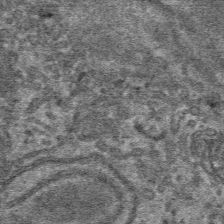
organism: Mouse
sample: Mouse hepatocytes